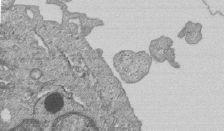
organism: Human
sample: MDA-MB-231 cells